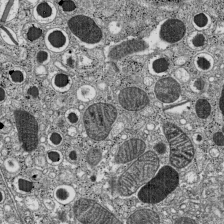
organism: C57BL Mouse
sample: Pancreatic islet